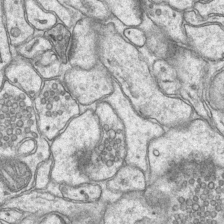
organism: Mouse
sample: CA1 Hippocampus